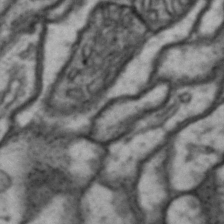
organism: Drosophila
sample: Brain